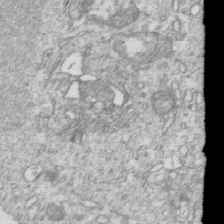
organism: Mouse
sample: Activated OT-1 CD8+ T cells